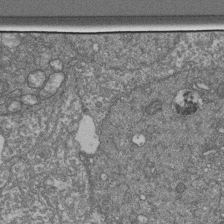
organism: Human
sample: Retinal organoid Rod and Cone cells